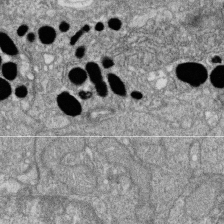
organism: Zebrafish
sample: Cilia; retinal pigment epithelium